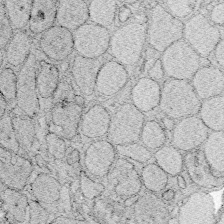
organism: Zebrafish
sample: Whole-Brain